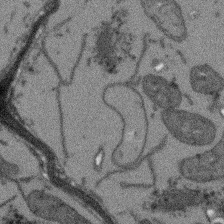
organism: Arabidopsis thaliana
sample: Root tip